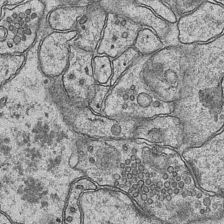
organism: Mouse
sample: CA1 Hippocampus